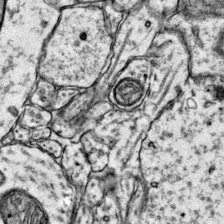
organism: Mouse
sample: Primary visual cortex